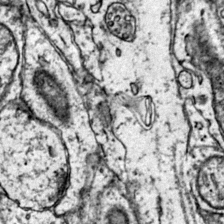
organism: Mouse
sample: Primary visual cortex